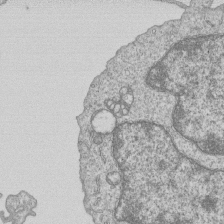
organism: Human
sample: MDA-MB-231 cells